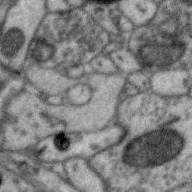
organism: Zebra finch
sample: Brain